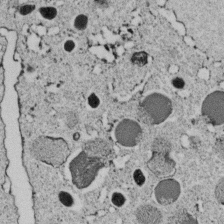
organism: C. elegans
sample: C. elegans embryo early stage